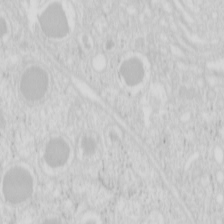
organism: Mouse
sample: Pancreas